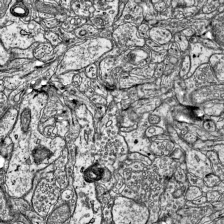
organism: Mouse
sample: Visual Cortex